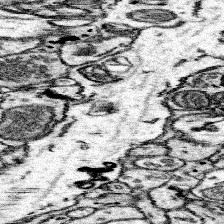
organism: Mouse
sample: Somatosensory cortex neuropil